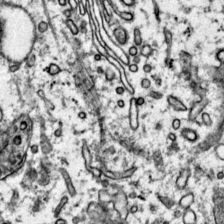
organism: Mouse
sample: Primary visual cortex